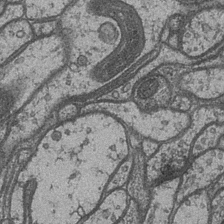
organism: Drosophila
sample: Optic medulla